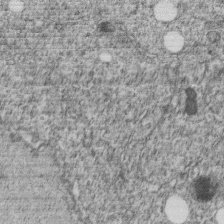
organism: C. elegans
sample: C. elegans embryo early stage